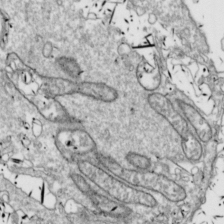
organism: Drosophila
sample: Cell division; meiosis; drosophila spermatocytes